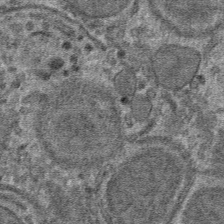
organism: Mouse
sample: Mouse hepatocytes